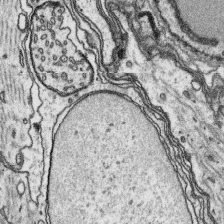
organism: Platynereis dumerilii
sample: Parapodia